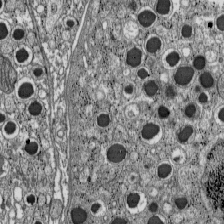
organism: C57BL Mouse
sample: Pancreatic islet